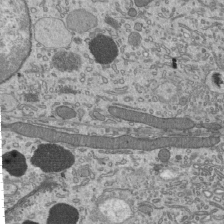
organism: Mouse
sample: Mouse epididymis efferent ductule cilia